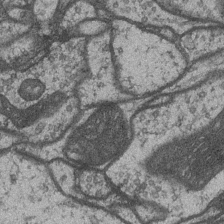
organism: Drosophila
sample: Optic medulla